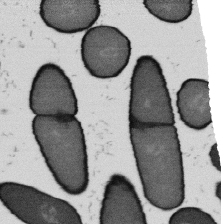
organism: B. subtilis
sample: Bacterial spore